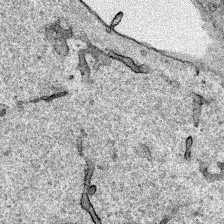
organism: Human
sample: Mitochondria in HCT116 cells